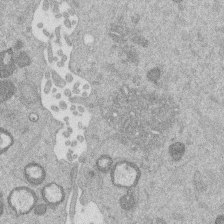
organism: Mouse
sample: Dividing mouse embryo 1 cell stage